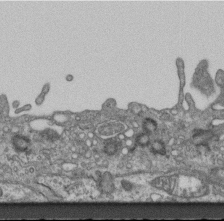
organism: Mouse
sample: Centriole in ependymal cells